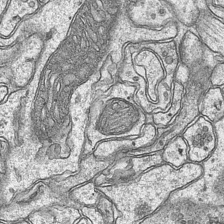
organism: Mouse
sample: CA1 Hippocampus